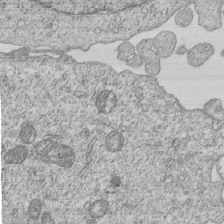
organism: Human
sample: MDA-MB-231 cells